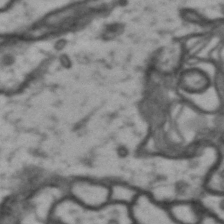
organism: Drosophila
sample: Brain